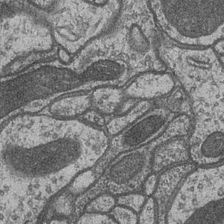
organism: Drosophila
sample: Optic medulla